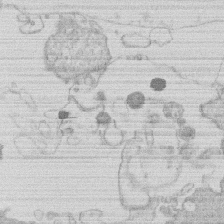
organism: Human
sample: Macrophage cells